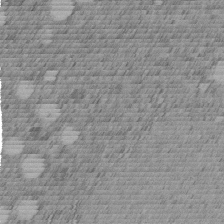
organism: C. elegans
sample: C. elegans embryo early stage